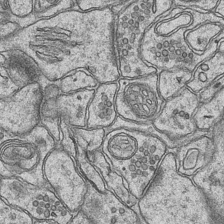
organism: Mouse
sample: CA1 Hippocampus